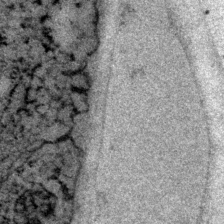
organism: P. pacificus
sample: Pharynx